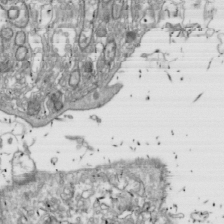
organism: Drosophila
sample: Cell division; meiosis; drosophila spermatocytes